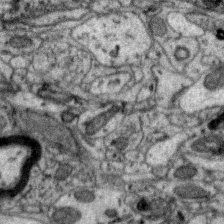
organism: Zebra finch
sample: Brain